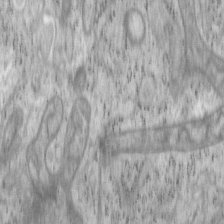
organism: Human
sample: HeLa cells